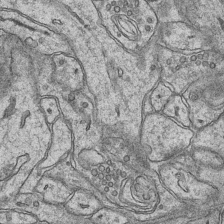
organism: Mouse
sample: CA1 Hippocampus